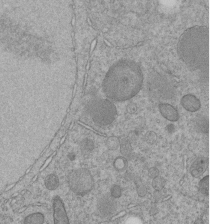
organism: C. elegans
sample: C. elegans embryo early stage